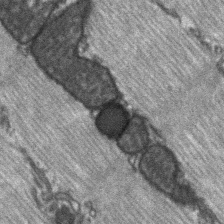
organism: C57BL Mouse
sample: Soleus